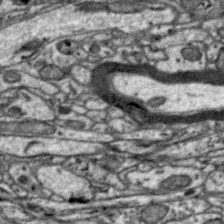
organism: Zebra finch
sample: Brain